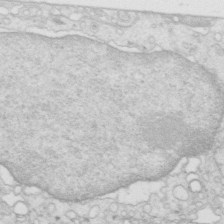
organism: Mouse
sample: Multiciliated cells